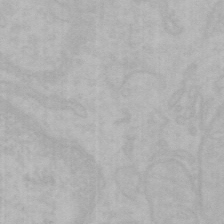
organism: Mouse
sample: Choroid plexus